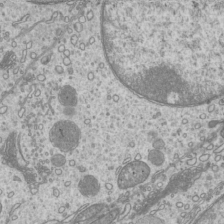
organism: Mouse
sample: Cilia; mouse epididymis